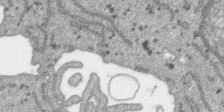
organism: Human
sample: Lung epithelial cells infected with SARS-CoV-2